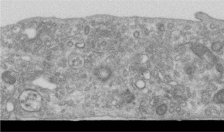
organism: Human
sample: Centriole in RPE cells